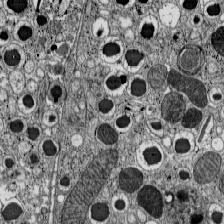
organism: C57BL Mouse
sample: Pancreatic islet